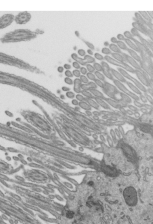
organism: Mouse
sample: Mouse epididymis efferent ductule cilia